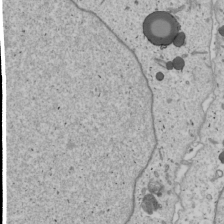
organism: Human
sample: Mitochondria in U2OS cells